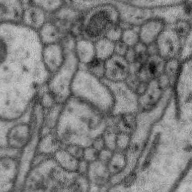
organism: Zebra finch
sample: Brain